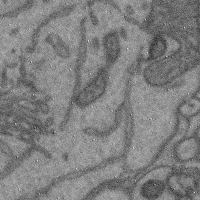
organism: Mouse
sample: Cerebral cortex